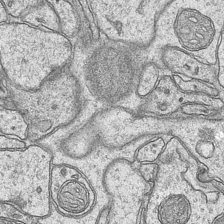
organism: Mouse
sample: CA1 Hippocampus